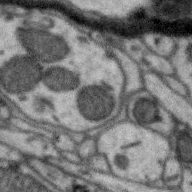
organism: Zebra finch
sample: Brain